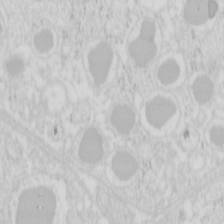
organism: Mouse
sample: Pancreas